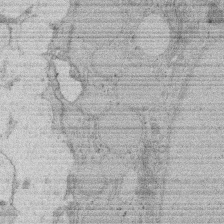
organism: Rat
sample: Salivary granule